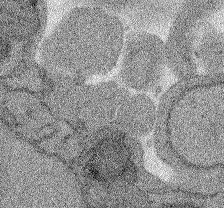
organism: Human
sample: HeLa cells